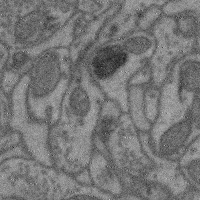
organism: Mouse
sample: Cerebral cortex